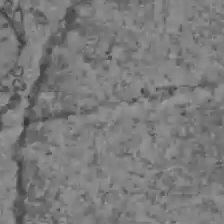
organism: C57BL Mouse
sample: Liver